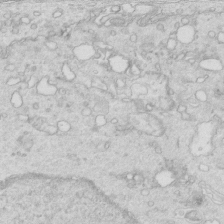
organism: Mouse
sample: Multiciliated cells